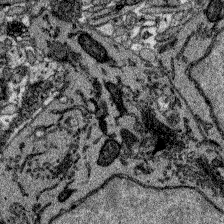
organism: Zebrafish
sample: Larval olfactory bulb